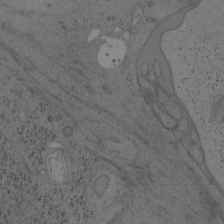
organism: Mouse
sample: OT-I killer T cells with ID8 ovarian cancer cells